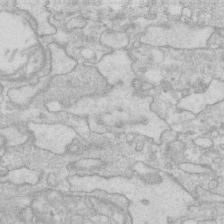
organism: Human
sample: Fibroblast cells